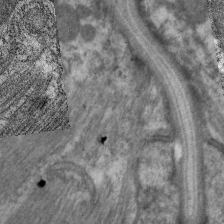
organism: C. elegans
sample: Pharynx